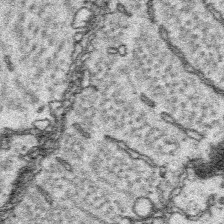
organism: Platynereis dumerilii